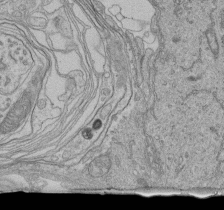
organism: Human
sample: Retinal organoid Rod and Cone cells